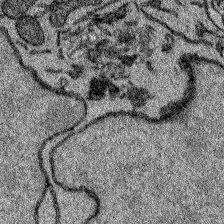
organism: Zebrafish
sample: Larval olfactory bulb